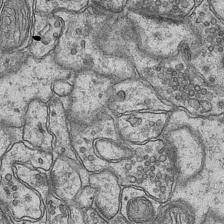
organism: Mouse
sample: CA1 Hippocampus